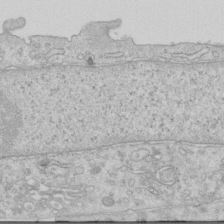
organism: Human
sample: Centriole in RPE cells